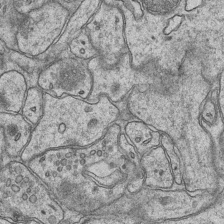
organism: Mouse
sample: CA1 Hippocampus